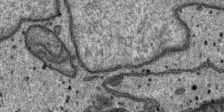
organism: Human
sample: Lung epithelial cells, uninfected (mock) control